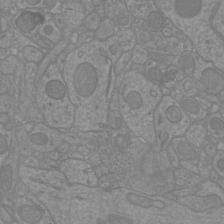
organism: Mouse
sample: Cortical neurons